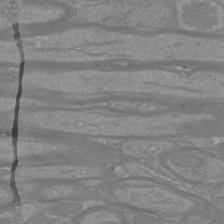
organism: Mouse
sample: Cortical neurons